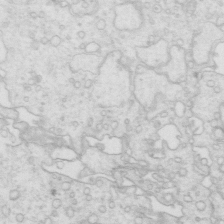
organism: Mouse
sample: Multiciliated cells